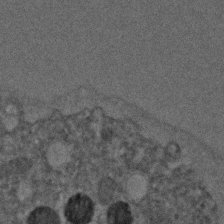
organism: C. elegans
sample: C. elegans embryo